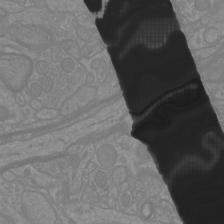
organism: Mouse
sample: Cortical neurons